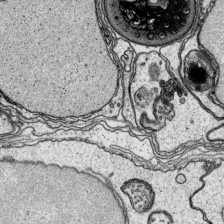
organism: Platynereis dumerilii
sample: Parapodia